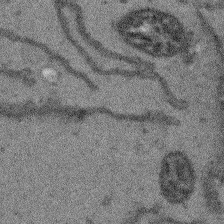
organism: Arabidopsis thaliana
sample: Root tip